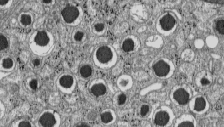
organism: C57BL Mouse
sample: Pancreatic islet